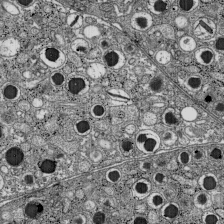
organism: C57BL Mouse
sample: Pancreatic islet